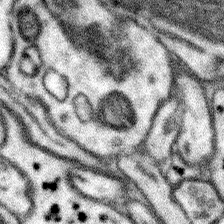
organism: Mouse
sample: Somatosensory cortex neuropil